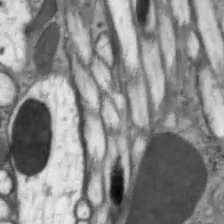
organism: Drosophila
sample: Optic lobe